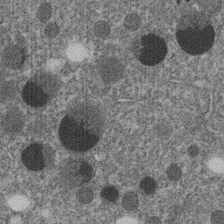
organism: C. elegans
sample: C. elegans embryo early stage